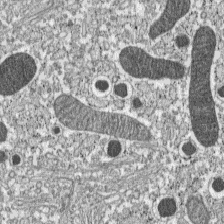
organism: C57BL Mouse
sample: Pancreatic islet